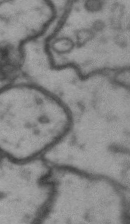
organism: Drosophila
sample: Brain